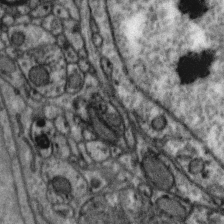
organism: Zebra finch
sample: Brain